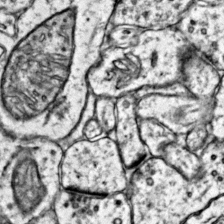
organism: Mouse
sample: Primary visual cortex